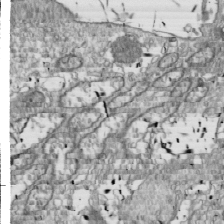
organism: Drosophila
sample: Cell division; meiosis; drosophila spermatocytes